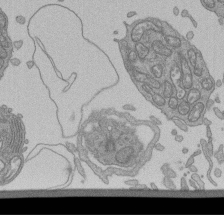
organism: Human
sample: Retinal organoid Rod and Cone cells